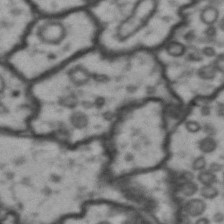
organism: Drosophila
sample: Brain